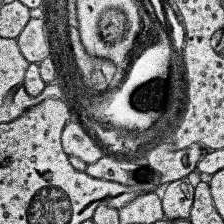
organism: Human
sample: Temporal Lobe